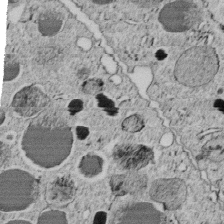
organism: C. elegans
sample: C. elegans embryo early stage